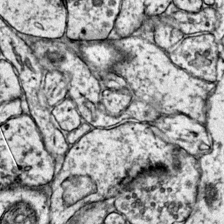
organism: Mouse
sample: Primary visual cortex